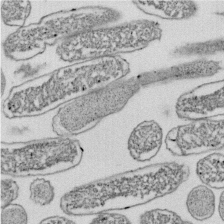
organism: E. coli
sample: Bacterial nucleoid